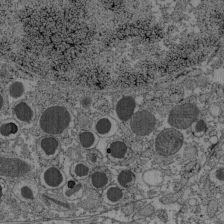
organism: C57BL Mouse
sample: Pancreatic islet